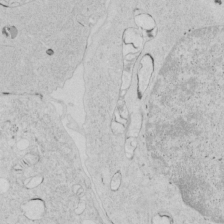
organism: Human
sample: Mitochondria in HCT116 cells